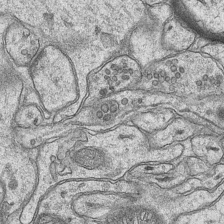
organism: Mouse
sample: CA1 Hippocampus